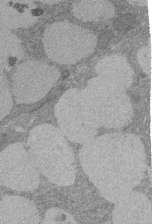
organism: Rat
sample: Salivary granule